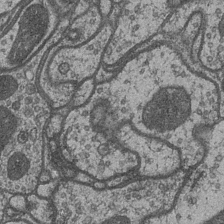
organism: Drosophila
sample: Optic medulla